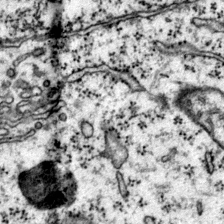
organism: Mouse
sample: Primary visual cortex